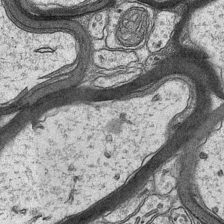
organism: Mouse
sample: CA1 Hippocampus